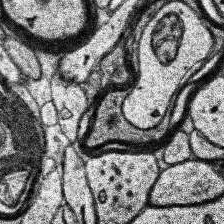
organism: Human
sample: Temporal Lobe